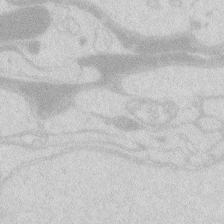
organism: Zebrafish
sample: Macrophage